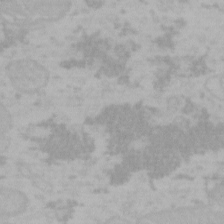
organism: Mouse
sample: Choroid plexus